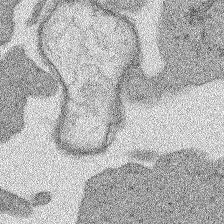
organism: Human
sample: HeLa cells